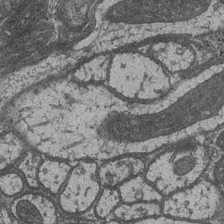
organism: Drosophila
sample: Optic medulla